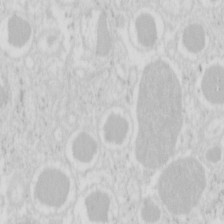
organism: Mouse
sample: Pancreas